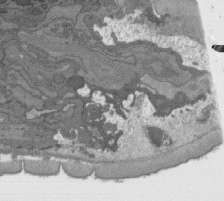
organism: C. elegans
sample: AFD neurons C. elegans